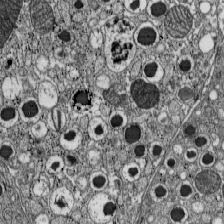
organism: C57BL Mouse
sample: Pancreatic islet